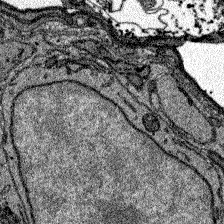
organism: Zebrafish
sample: Larval olfactory bulb